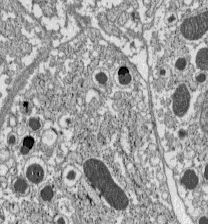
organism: C57BL Mouse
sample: Pancreatic islet